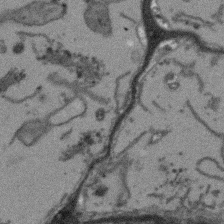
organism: Arabidopsis thaliana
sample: Root tip